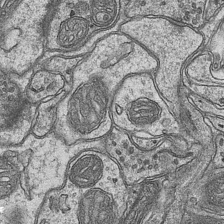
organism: Mouse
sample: CA1 Hippocampus